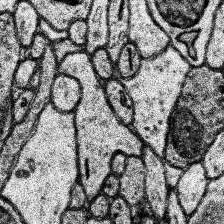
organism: Human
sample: Temporal Lobe